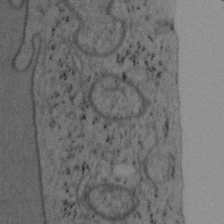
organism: Human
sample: HeLa cells